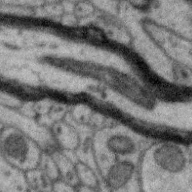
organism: Zebra finch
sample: Brain